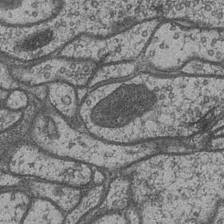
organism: Drosophila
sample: Optic medulla